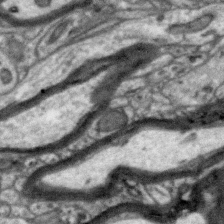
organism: Zebra finch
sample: Brain